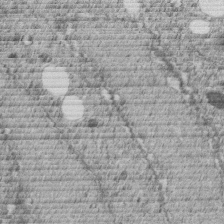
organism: C. elegans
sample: C. elegans embryo early stage